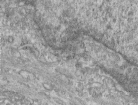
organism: Human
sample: Centriole in RPE cells